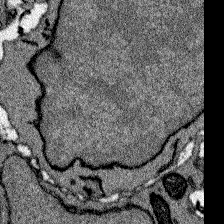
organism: Zebrafish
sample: Larval olfactory bulb